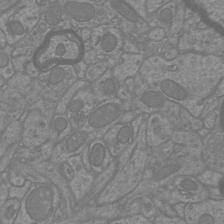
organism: Mouse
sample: Cortical neurons